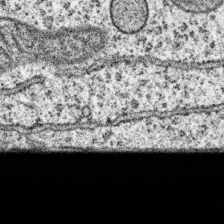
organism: Human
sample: HeLa cells